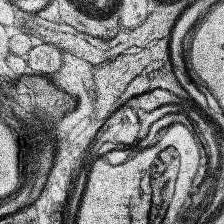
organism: Human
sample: Temporal Lobe